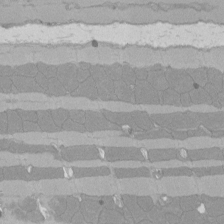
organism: Rat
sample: Left ventricle